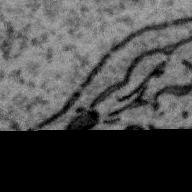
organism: Zebra finch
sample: Brain